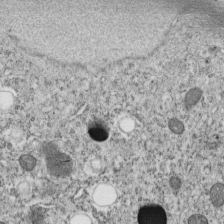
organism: C. elegans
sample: C. elegans embryo early stage